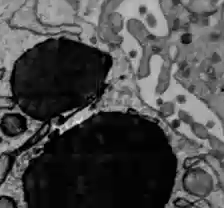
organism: C57BL Mouse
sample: Liver